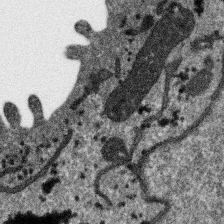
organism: Human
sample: Lung epithelial cells infected with SARS-CoV-2